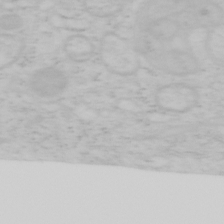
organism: Mouse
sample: OT-I killer T cells with ID8 ovarian cancer cells